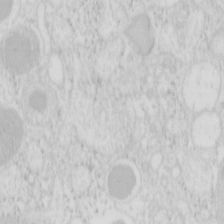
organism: Mouse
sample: Pancreas